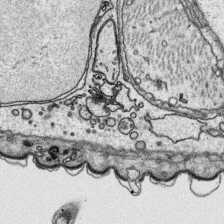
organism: Platynereis dumerilii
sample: Parapodia